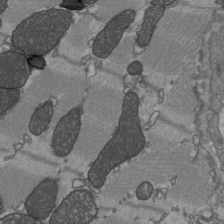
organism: C57BL Mouse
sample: Heart